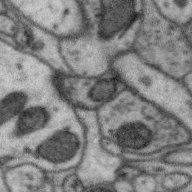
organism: Zebra finch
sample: Brain